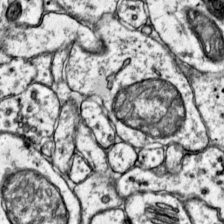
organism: Mouse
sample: Primary visual cortex